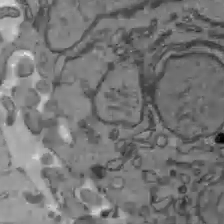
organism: C57BL Mouse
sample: Liver